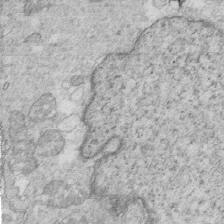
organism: Mouse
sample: Multiciliated cells